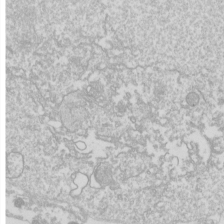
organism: Drosophila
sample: Cell division; meiosis; drosophila spermatocytes